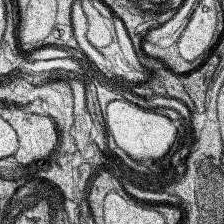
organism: Human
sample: Temporal Lobe